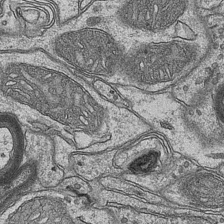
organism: Mouse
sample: CA1 Hippocampus